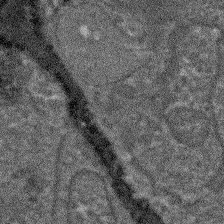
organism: Arabidopsis thaliana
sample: Root tip